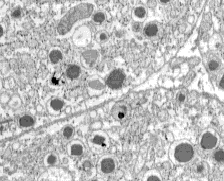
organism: C57BL Mouse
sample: Pancreatic islet